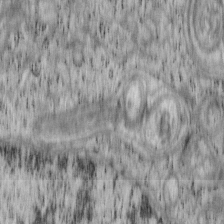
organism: Human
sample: HeLa cells